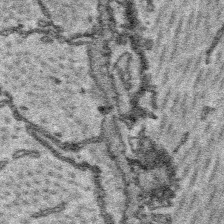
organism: Platynereis dumerilii